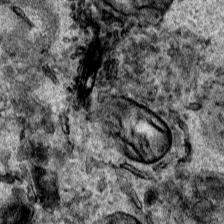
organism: Human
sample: Mitochondria in HCT116 cells